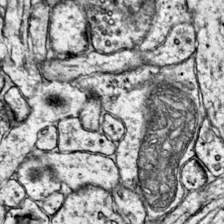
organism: Mouse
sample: Primary visual cortex